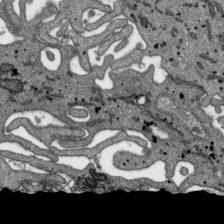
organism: Human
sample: Lung epithelial cells, uninfected (mock) control